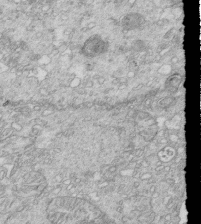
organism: Mouse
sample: Multiciliated cells